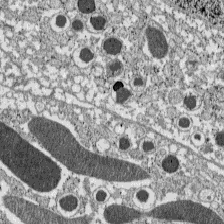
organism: C57BL Mouse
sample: Pancreatic islet